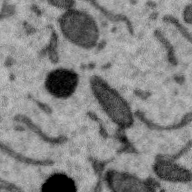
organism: Zebra finch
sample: Brain